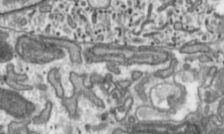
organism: Toxoplasma gondii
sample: Parasites in a vacuole inside a host cell